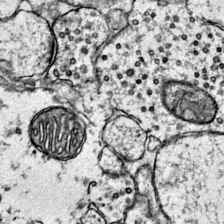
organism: Mouse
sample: Primary visual cortex